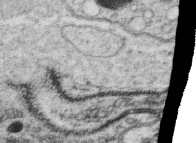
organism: C. elegans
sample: C. elegans oocyte; sperm cells